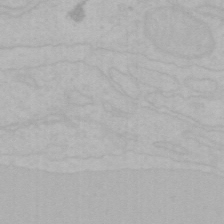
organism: Mouse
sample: Choroid plexus